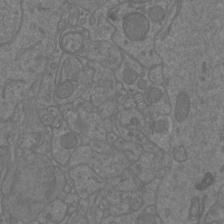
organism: Mouse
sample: Cortical neurons